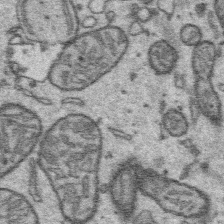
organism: Platynereis dumerilii